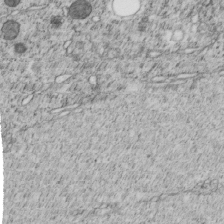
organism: C. elegans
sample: C. elegans embryo early stage